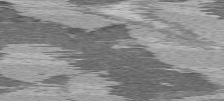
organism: C57BL Mouse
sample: Heart